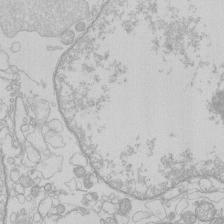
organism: Human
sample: Macrophage cells